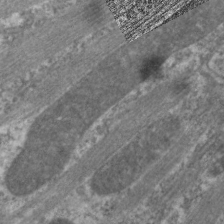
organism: C. elegans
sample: Pharynx